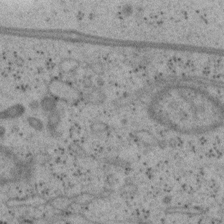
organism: Human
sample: HeLa cells